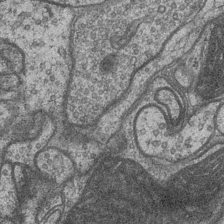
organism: Drosophila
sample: Optic medulla